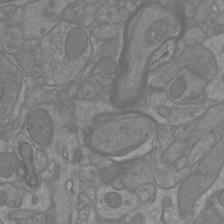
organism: Mouse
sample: Cortical neurons